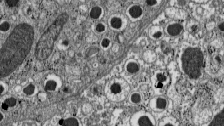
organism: C57BL Mouse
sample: Pancreatic islet